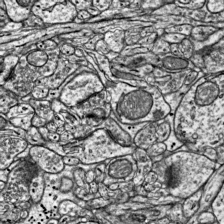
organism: Mouse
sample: Visual Cortex